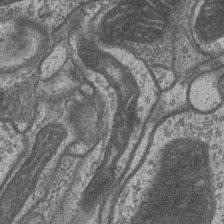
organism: Drosophila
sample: Optic medulla